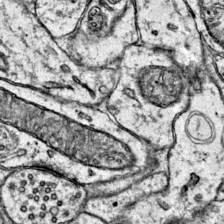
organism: Mouse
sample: Primary visual cortex